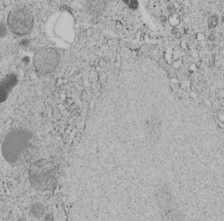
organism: C. elegans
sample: C. elegans embryo early stage